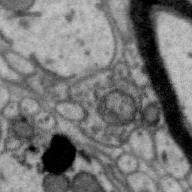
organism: Zebra finch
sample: Brain